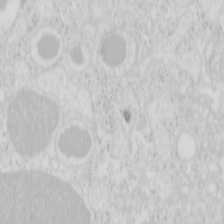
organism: Mouse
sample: Pancreas